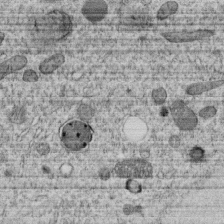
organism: C. elegans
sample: C. elegans embryo early stage